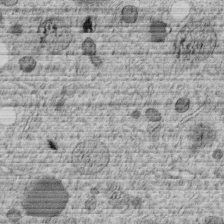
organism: C. elegans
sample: C. elegans embryo early stage